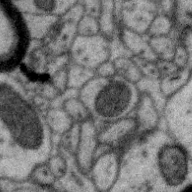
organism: Zebra finch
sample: Brain